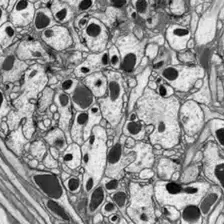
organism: Drosophila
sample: Optic lobe